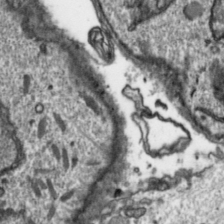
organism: Toxoplasma gondii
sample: Parasites in a vacuole inside a host cell